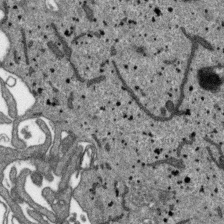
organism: Human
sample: Lung epithelial cells, uninfected (mock) control